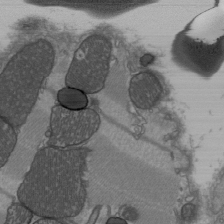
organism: C57BL Mouse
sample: Heart